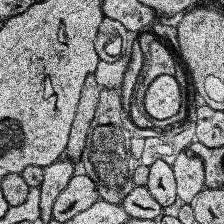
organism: Human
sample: Temporal Lobe